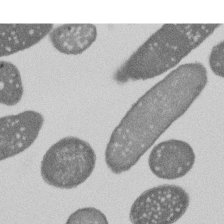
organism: E. coli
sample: Bacterial nucleoid